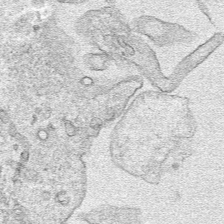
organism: Human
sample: Mitochondria in HCT116 cells